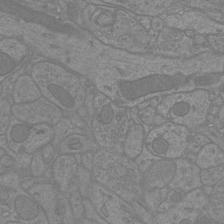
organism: Mouse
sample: Cortical neurons